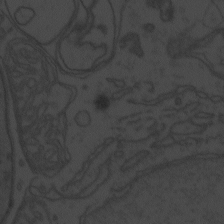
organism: Zebrafish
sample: Macrophage infected with Toxoplasma gondii